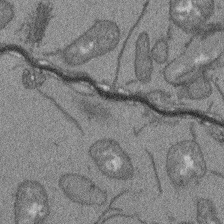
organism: Arabidopsis thaliana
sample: Root tip